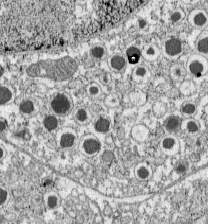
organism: C57BL Mouse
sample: Pancreatic islet